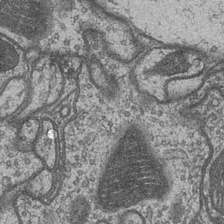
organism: Drosophila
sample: Optic medulla